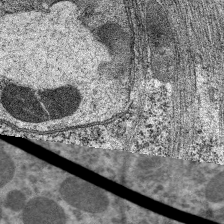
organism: C. elegans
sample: Pharynx